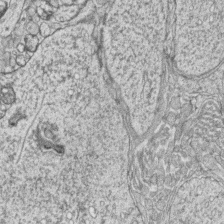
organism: Zebrafish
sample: synaptic ribbons in rod cells and cone cells